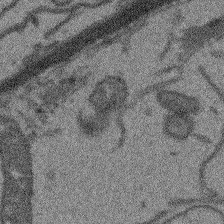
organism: Arabidopsis thaliana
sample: Root tip